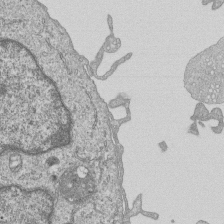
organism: Human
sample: MDA-MB-231 cells